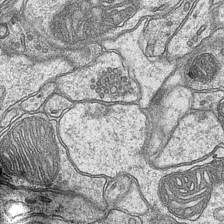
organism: Mouse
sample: CA1 Hippocampus